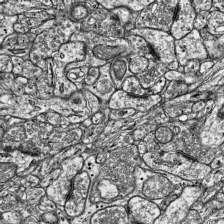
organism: Mouse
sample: Visual Cortex